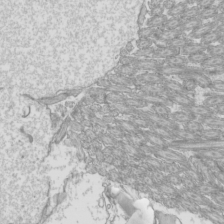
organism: Mouse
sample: Cilia; mouse epididymis